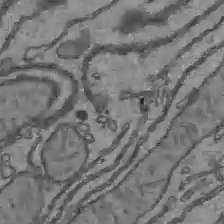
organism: C57BL Mouse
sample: Liver